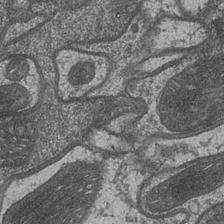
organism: Drosophila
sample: Optic medulla